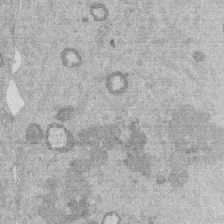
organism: Mouse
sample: Dividing mouse embryo 1 cell stage